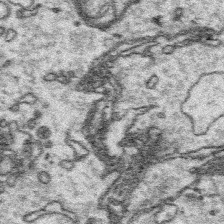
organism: Platynereis dumerilii